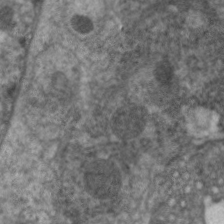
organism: C. elegans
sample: Pharynx